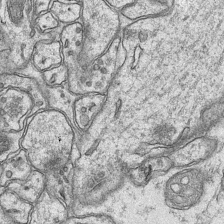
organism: Mouse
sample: CA1 Hippocampus